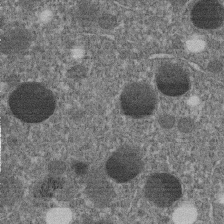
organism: C. elegans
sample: C. elegans embryo early stage